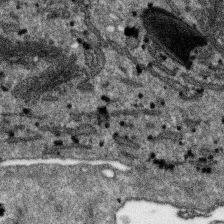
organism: Human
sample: Lung epithelial cells infected with SARS-CoV-2